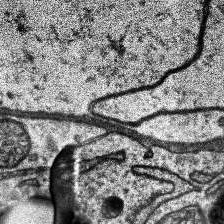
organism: Human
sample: Temporal Lobe